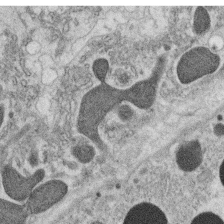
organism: C. elegans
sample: C. elegans oocyte; sperm cells